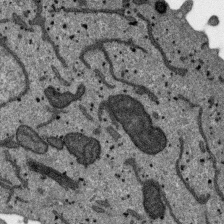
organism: Human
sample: Lung epithelial cells, uninfected (mock) control